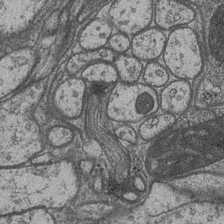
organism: Drosophila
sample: Optic medulla